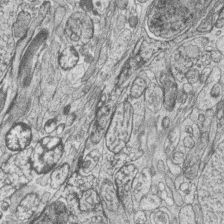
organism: Zebrafish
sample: synaptic ribbons in rod cells and cone cells